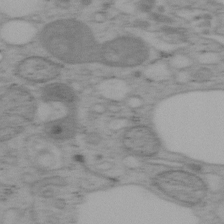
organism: Mouse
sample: OT-I killer T cells with ID8 ovarian cancer cells